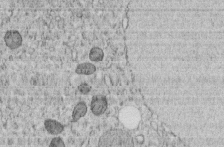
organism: C. elegans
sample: C. elegans embryo early stage